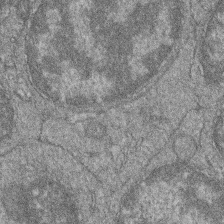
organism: Zebrafish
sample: Cilia; retinal pigment epithelium